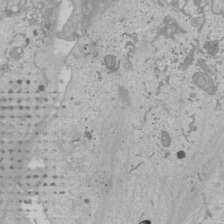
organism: Human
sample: Mitochondria in U2OS cells